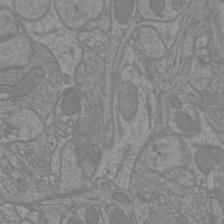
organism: Mouse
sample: Cortical neurons